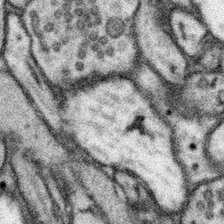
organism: Mouse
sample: Somatosensory cortex neuropil